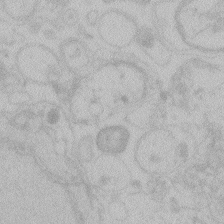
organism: Zebrafish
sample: Macrophage infected with Toxoplasma gondii